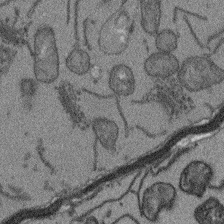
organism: Arabidopsis thaliana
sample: Root tip